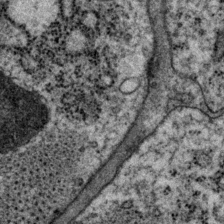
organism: P. pacificus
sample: Pharynx